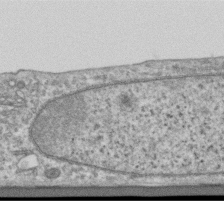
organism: Human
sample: Centriole in RPE cells